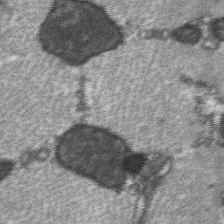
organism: C57BL Mouse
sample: Soleus